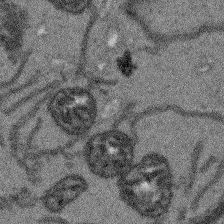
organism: Arabidopsis thaliana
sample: Root tip